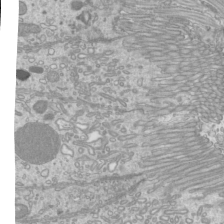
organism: Mouse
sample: Cilia; mouse epididymis